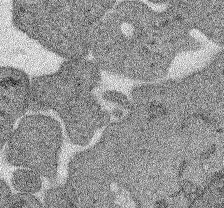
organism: Human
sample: HeLa cells